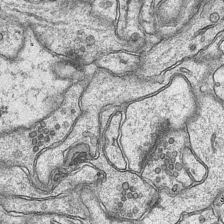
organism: Mouse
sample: CA1 Hippocampus